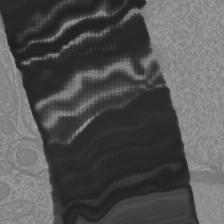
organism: Mouse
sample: Cortical neurons